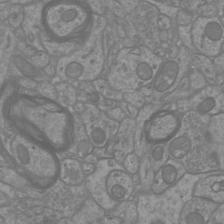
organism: Mouse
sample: Cortical neurons